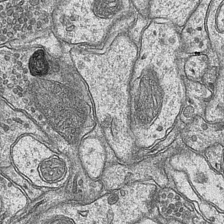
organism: Mouse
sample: CA1 Hippocampus